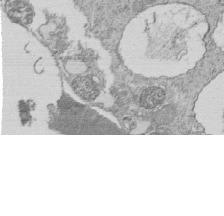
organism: Tetrahymena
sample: Cilia in tetrahymena